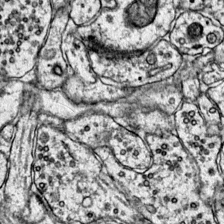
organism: Mouse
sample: Primary visual cortex